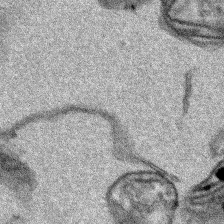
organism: Human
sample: Mitochondria in HCT116 cells